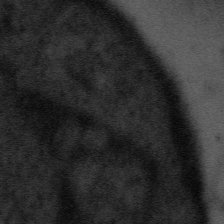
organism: Tuwongella immobilis